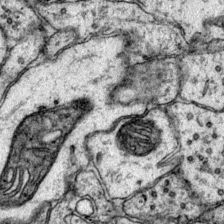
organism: Mouse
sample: Primary visual cortex